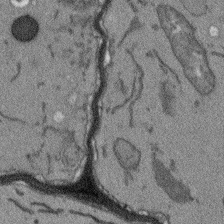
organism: Arabidopsis thaliana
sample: Root tip